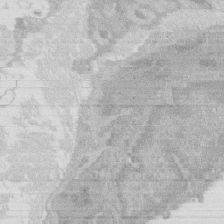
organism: Rat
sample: Salivary granule